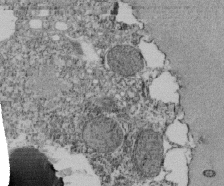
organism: Tetrahymena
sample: Cilia in tetrahymena